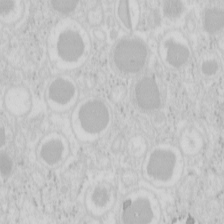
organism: Mouse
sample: Pancreas